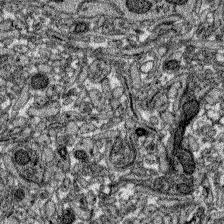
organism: Zebrafish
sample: Larval olfactory bulb